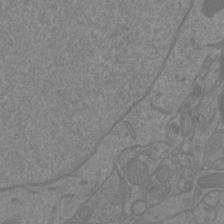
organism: Mouse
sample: Cortical neurons